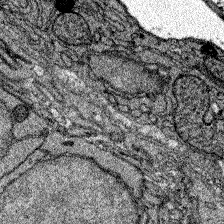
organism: Zebrafish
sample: Larval olfactory bulb